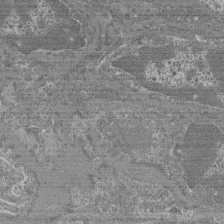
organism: Mouse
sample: Glomerulus